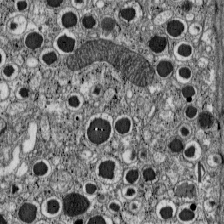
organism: C57BL Mouse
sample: Pancreatic islet